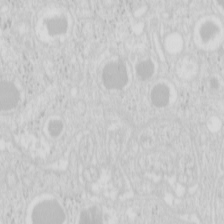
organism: Mouse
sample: Pancreas